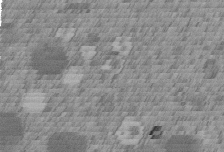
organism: C. elegans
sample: C. elegans embryo early stage